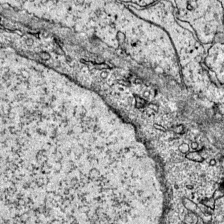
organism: Mouse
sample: Primary visual cortex